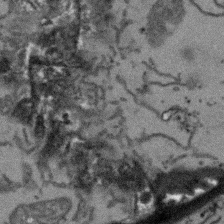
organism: Arabidopsis thaliana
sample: Root tip